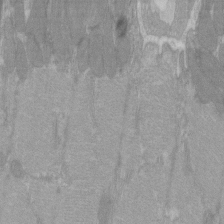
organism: C57BL Mouse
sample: Tibialis anterior muscle cell